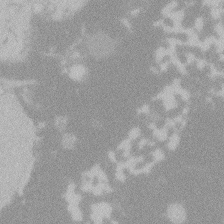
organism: Zebrafish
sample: Macrophage infected with Toxoplasma gondii